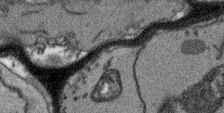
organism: Arabidopsis thaliana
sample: Root tip